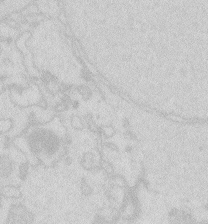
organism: Zebrafish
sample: Macrophage